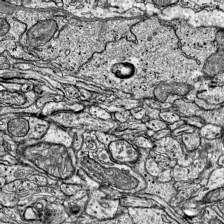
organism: Mouse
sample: Visual Cortex